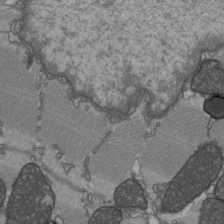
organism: C57BL Mouse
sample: Heart